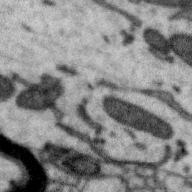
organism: Zebra finch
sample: Brain